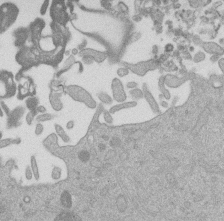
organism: Mouse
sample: Dividing mouse embryo 1 cell stage